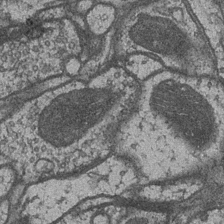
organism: Drosophila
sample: Optic medulla